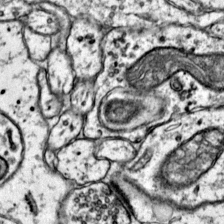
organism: Mouse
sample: Primary visual cortex